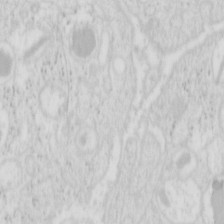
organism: Mouse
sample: Pancreas